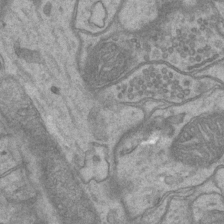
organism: Mouse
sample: CA1 Hippocampus